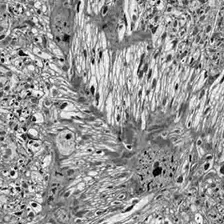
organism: Drosophila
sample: Optic lobe